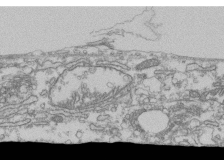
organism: Human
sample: Fibroblast cells